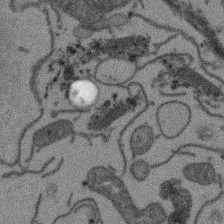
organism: Arabidopsis thaliana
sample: Root tip